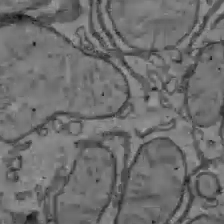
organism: C57BL Mouse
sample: Liver